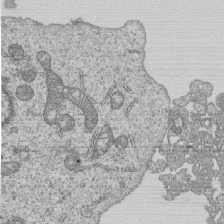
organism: Human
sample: MDA-MB-231 cells